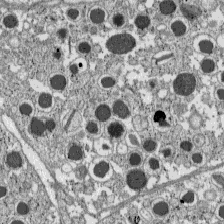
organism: C57BL Mouse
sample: Pancreatic islet